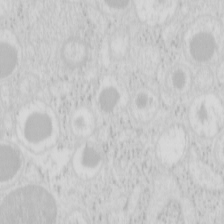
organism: Mouse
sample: Pancreas